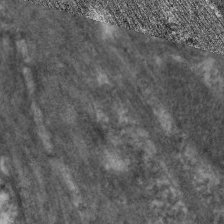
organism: C. elegans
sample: Pharynx